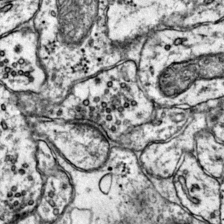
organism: Mouse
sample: Primary visual cortex